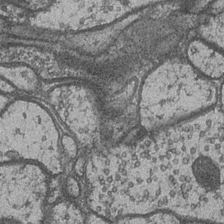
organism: Drosophila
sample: Optic medulla